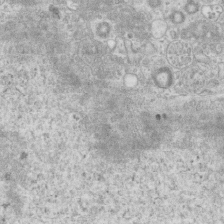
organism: Mouse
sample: Centriole in ependymal cells